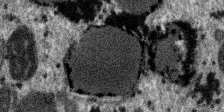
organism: Human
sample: Lung epithelial cells infected with SARS-CoV-2